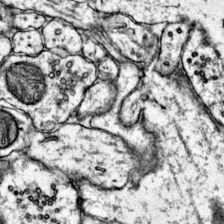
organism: Mouse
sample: Primary visual cortex